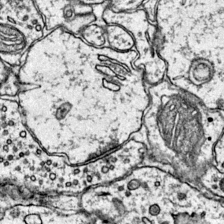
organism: Mouse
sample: Primary visual cortex